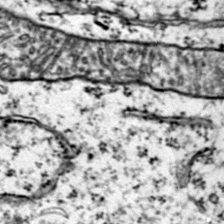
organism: Mouse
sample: Primary visual cortex